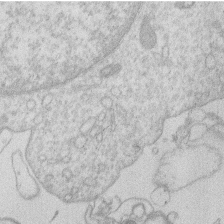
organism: Human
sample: Macrophage cells